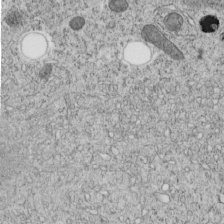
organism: C. elegans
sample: C. elegans embryo early stage